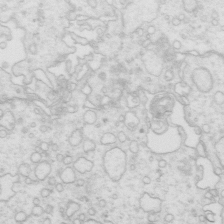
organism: Mouse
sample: Multiciliated cells